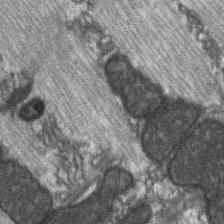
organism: C57BL Mouse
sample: Soleus